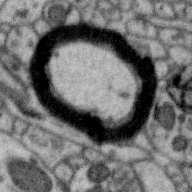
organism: Zebra finch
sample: Brain